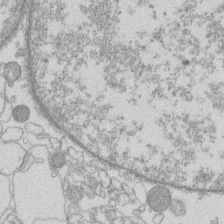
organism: Human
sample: Macrophage cells